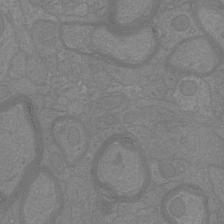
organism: Mouse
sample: Cortical neurons